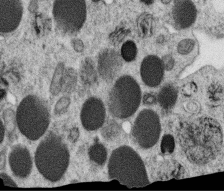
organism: C. elegans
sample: C. elegans oocyte; sperm cells